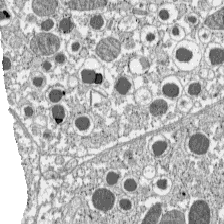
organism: C57BL Mouse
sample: Pancreatic islet